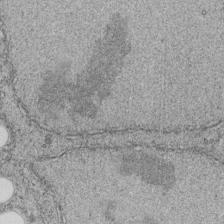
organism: C. elegans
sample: C. elegans embryo early stage